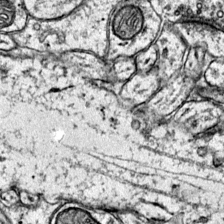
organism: Mouse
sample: Primary visual cortex